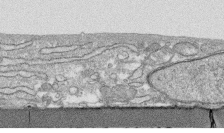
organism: Human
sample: CRL-1474